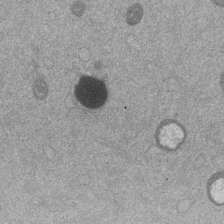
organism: Mouse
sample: Dividing mouse embryo 1 cell stage